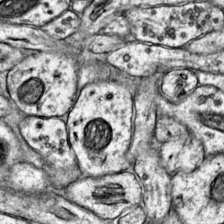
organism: Mouse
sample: Primary visual cortex